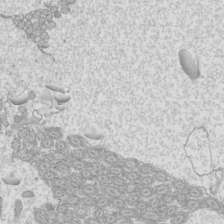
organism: Mouse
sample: Cilia; mouse epididymis